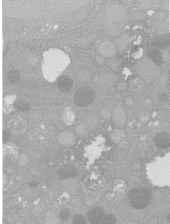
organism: C. elegans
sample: C. elegans oocyte; sperm cells